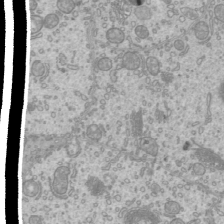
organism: Mouse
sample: Cilia; mouse epididymis